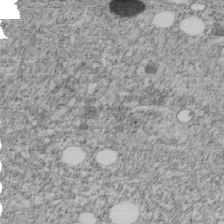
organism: C. elegans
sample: C. elegans embryo early stage